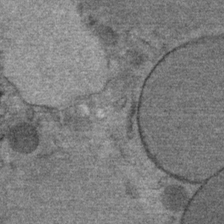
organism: Mouse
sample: Mouse Salivary gland